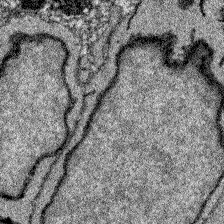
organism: Zebrafish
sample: Larval olfactory bulb